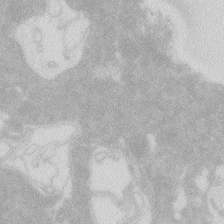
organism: Zebrafish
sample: Macrophage